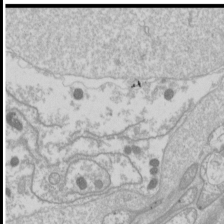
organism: Drosophila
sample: Cell division; meiosis; drosophila spermatocytes